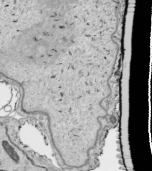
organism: Human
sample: Mitochondria in HCT116 cells